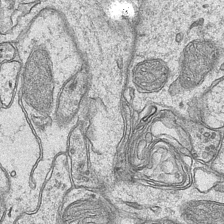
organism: Mouse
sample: CA1 Hippocampus